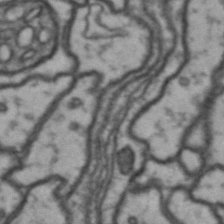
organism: Drosophila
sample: Brain